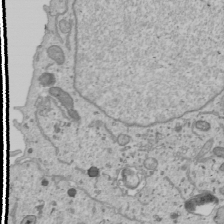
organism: Human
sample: Mitochondria in U2OS cells